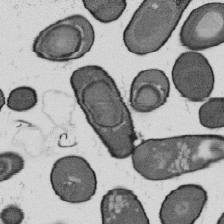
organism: B. subtilis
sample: Bacterial spore